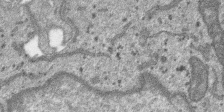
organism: Human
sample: Lung epithelial cells infected with SARS-CoV-2